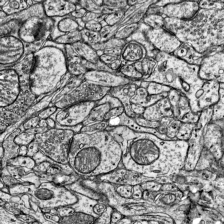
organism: Mouse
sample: Visual Cortex